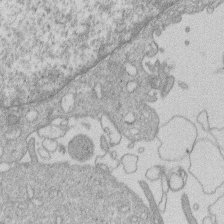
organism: Human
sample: Macrophage cells